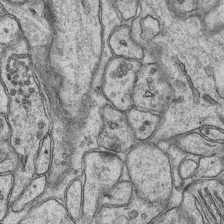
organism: Mouse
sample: CA1 Hippocampus